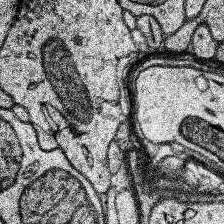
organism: Human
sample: Temporal Lobe